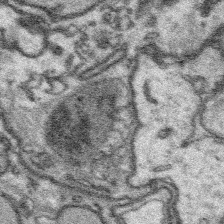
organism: Platynereis dumerilii